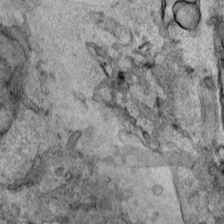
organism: Human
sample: Mitochondria in HCT116 cells